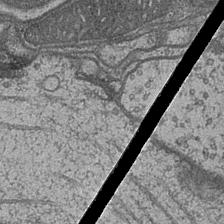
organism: Drosophila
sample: Optic medulla